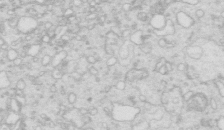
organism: Mouse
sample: Multiciliated cells